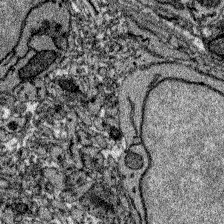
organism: Zebrafish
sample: Larval olfactory bulb